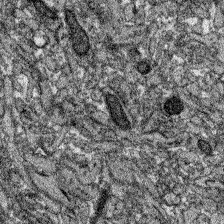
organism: Zebrafish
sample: Larval olfactory bulb